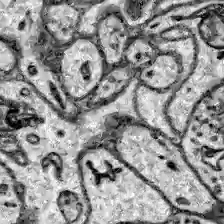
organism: Zebrafish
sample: Brain